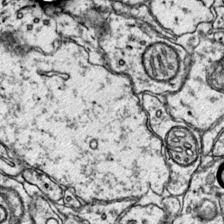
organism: Mouse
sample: Primary visual cortex